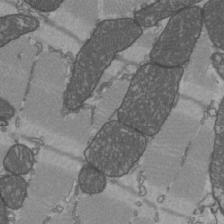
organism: C57BL Mouse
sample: Heart